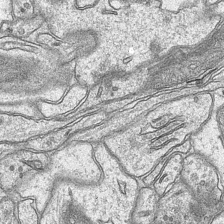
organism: Mouse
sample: CA1 Hippocampus